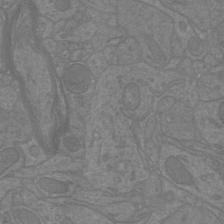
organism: Mouse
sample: Cortical neurons